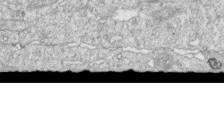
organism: Human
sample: HeLa cell HIV synapse